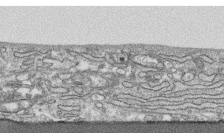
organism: Human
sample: CRL-1474